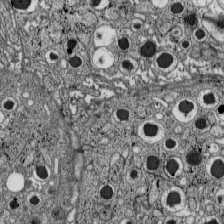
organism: C57BL Mouse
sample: Pancreatic islet